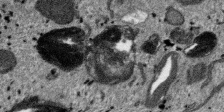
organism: Human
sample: Lung epithelial cells, uninfected (mock) control